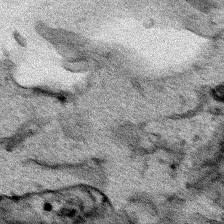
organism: Human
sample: Mitochondria in HCT116 cells